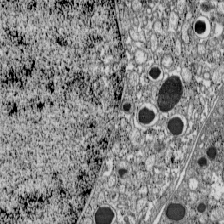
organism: C57BL Mouse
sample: Pancreatic islet